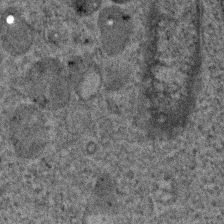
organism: Human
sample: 1205lu cells